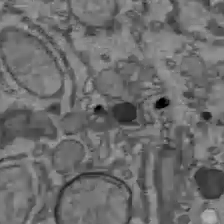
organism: C57BL Mouse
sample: Liver